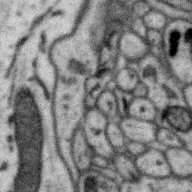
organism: Zebra finch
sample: Brain